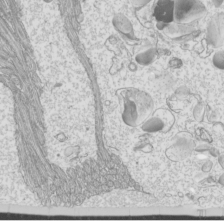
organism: Mouse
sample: Cilia; mouse epididymis